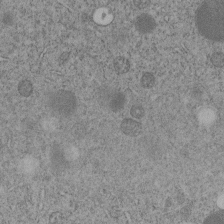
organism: C. elegans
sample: C. elegans embryo early stage